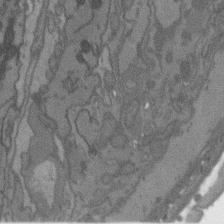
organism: C. elegans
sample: AFD neurons C. elegans